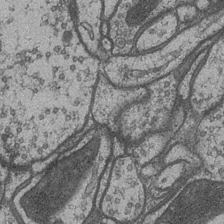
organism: Drosophila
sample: Optic medulla